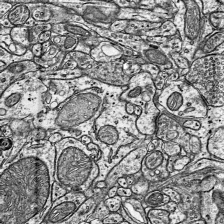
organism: Mouse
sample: Visual Cortex